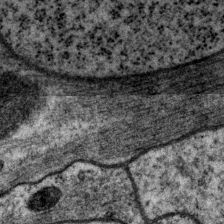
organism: P. pacificus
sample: Pharynx